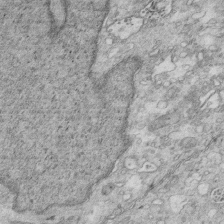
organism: Mouse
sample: Multiciliated cells